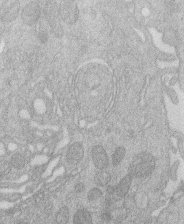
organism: Human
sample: Macrophage cells